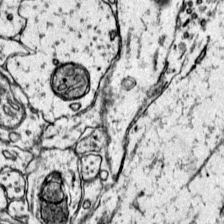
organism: Mouse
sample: Primary visual cortex